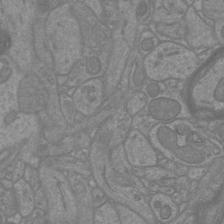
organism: Mouse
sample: Cortical neurons